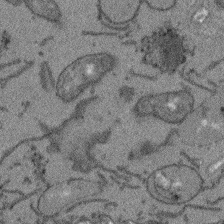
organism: Arabidopsis thaliana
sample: Root tip